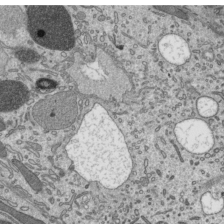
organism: Mouse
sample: Mouse epididymis efferent ductule cilia